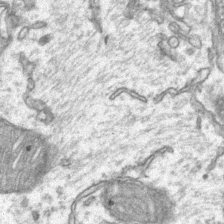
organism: Mouse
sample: CA1 Hippocampus